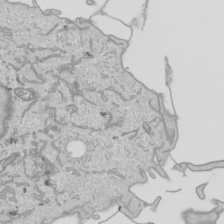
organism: Human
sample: Mitochondria in HCT116 cells